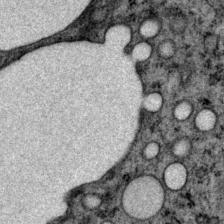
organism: P. pacificus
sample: Pharynx